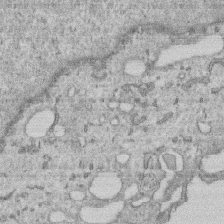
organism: Human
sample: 1205lu cells